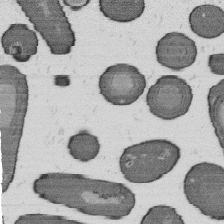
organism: B. subtilis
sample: Bacterial spore